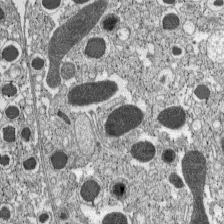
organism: C57BL Mouse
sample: Pancreatic islet